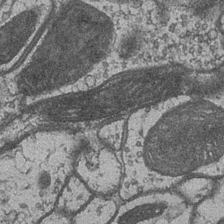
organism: Drosophila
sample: Optic medulla